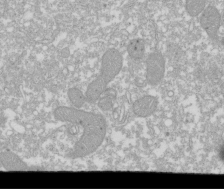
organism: Xenopus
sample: Cilia; centrioles in frog embryo cells